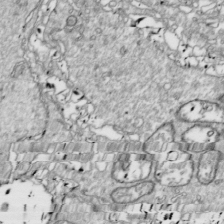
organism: Drosophila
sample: Cell division; meiosis; drosophila spermatocytes